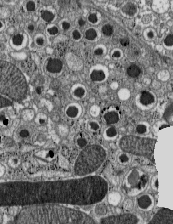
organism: C57BL Mouse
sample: Pancreatic islet